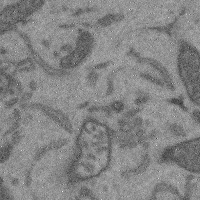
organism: Mouse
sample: Cerebral cortex